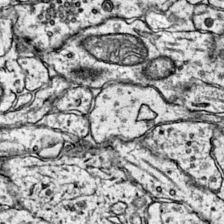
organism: Mouse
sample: Primary visual cortex